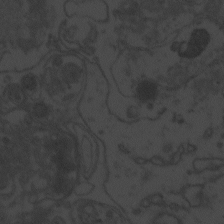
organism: Zebrafish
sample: Macrophage infected with Toxoplasma gondii